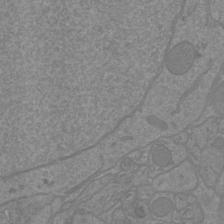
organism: Mouse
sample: Cortical neurons